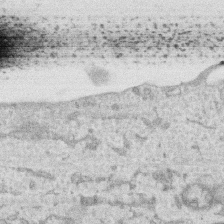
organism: Human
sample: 1205lu cells